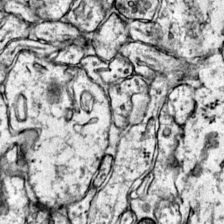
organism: Mouse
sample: Primary visual cortex